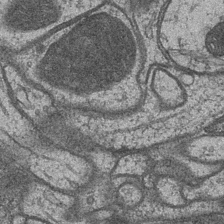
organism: Drosophila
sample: Optic medulla